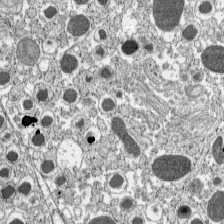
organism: C57BL Mouse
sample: Pancreatic islet